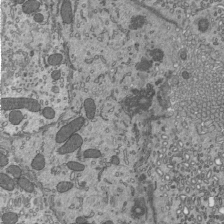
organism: Mouse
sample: Mouse epididymis efferent ductule cilia